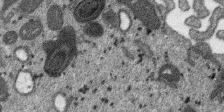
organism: Human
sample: Lung epithelial cells infected with SARS-CoV-2